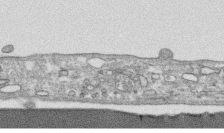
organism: Human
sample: CRL-1474